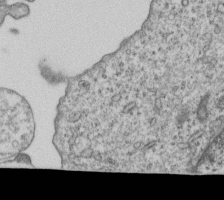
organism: Human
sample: MDA-MB-231 cells